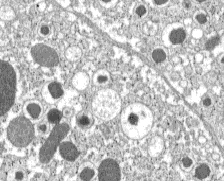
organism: C57BL Mouse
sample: Pancreatic islet